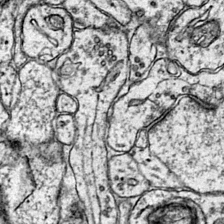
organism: Mouse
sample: Primary visual cortex